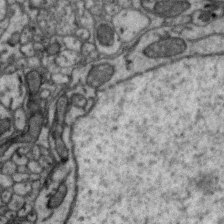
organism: Zebra finch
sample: Brain